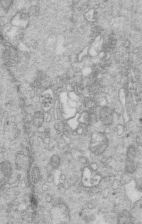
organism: Mouse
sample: Multiciliated cells